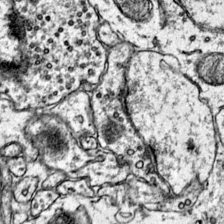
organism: Mouse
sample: Primary visual cortex